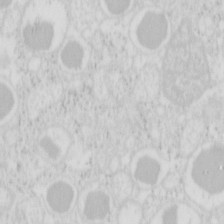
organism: Mouse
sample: Pancreas